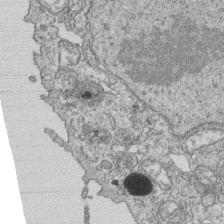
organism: Human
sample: HeLa cell HIV synapse